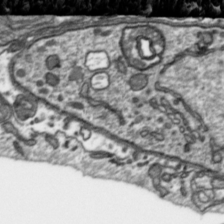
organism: Toxoplasma gondii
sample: Parasites in a vacuole inside a host cell